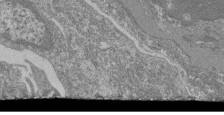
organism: Mouse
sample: Glomerulus